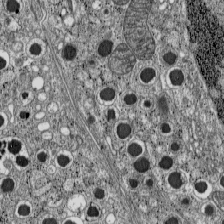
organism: C57BL Mouse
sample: Pancreatic islet